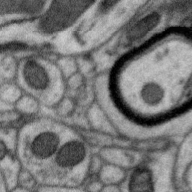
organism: Zebra finch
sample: Brain